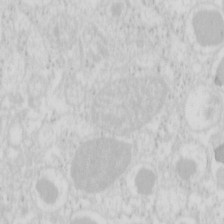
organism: Mouse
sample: Pancreas